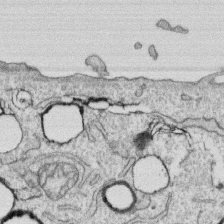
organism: Human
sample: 1205lu cells